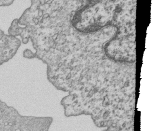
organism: Human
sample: MDA-MB-231 cells